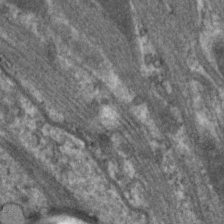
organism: C. elegans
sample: Pharynx